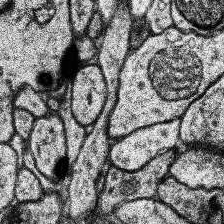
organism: Human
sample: Temporal Lobe